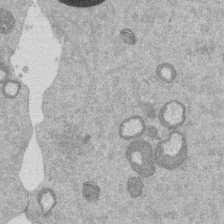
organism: Mouse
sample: Dividing mouse embryo 1 cell stage